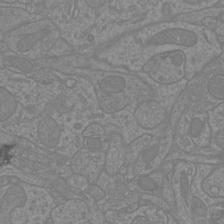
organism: Mouse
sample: Cortical neurons